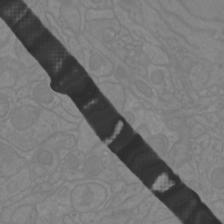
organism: Mouse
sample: Cortical neurons